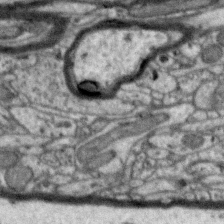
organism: Zebra finch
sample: Brain